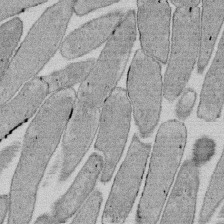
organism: E. coli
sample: Bacterial nucleoid